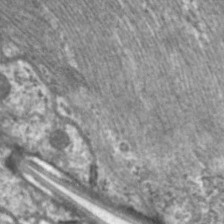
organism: C. elegans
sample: Pharynx